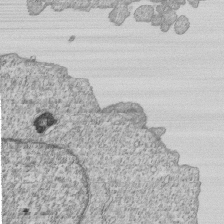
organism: Human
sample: MDA-MB-231 cells